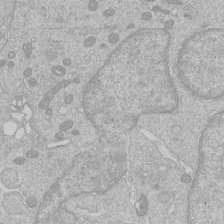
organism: Human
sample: Macrophage cells